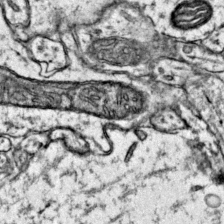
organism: Mouse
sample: Primary visual cortex